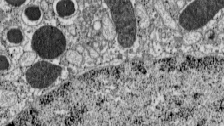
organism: C57BL Mouse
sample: Pancreatic islet